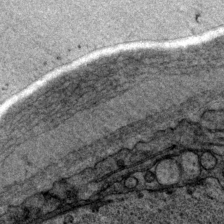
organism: P. pacificus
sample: Pharynx